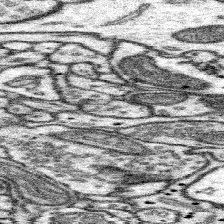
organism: Mouse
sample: Somatosensory cortex neuropil